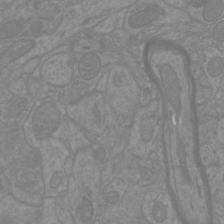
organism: Mouse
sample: Cortical neurons